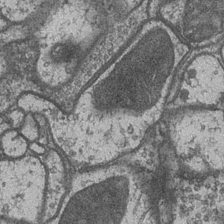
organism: Drosophila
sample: Optic medulla